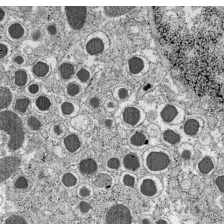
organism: C57BL Mouse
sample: Pancreatic islet